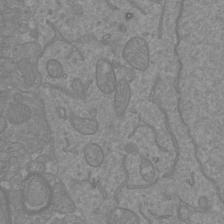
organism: Mouse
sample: Cortical neurons